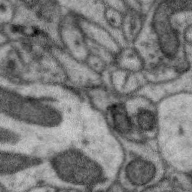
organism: Zebra finch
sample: Brain